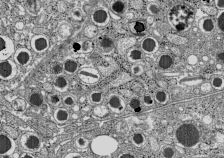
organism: C57BL Mouse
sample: Pancreatic islet